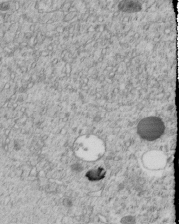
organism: C. elegans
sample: C. elegans embryo early stage